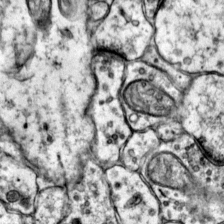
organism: Mouse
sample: Primary visual cortex